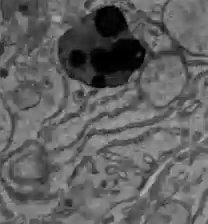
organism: C57BL Mouse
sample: Liver